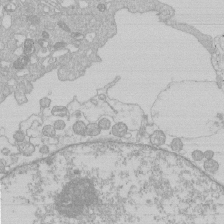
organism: Human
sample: Macrophage cells